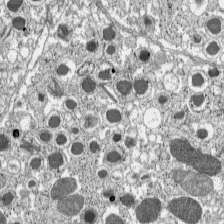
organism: C57BL Mouse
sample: Pancreatic islet